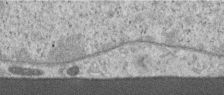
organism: Human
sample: Centriole in RPE cells